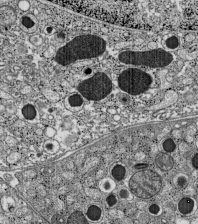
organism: C57BL Mouse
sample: Pancreatic islet